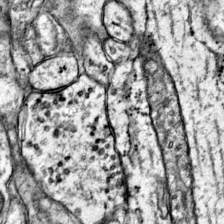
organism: Mouse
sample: Primary visual cortex